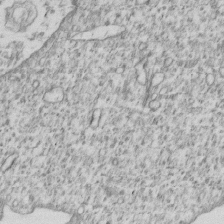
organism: Human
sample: MDA-MB-231 cells